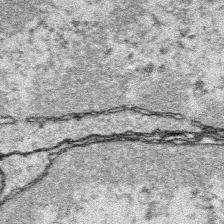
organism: Platynereis dumerilii